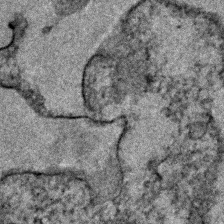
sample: Trachea